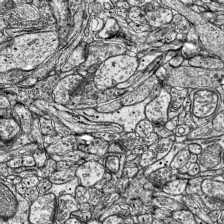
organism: Mouse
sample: Visual Cortex